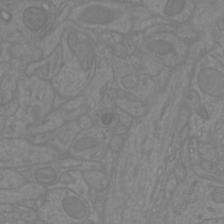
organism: Mouse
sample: Cortical neurons